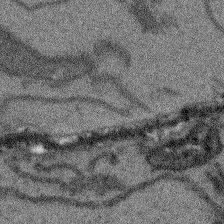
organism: Arabidopsis thaliana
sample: Root tip